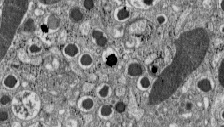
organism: C57BL Mouse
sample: Pancreatic islet